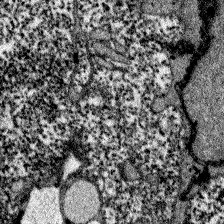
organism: Zebrafish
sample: Larval olfactory bulb